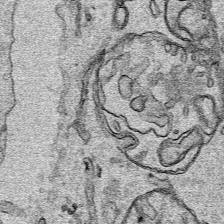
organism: Human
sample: Mitochondria in HCT116 cells